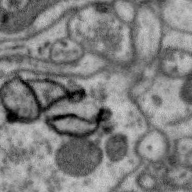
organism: Zebra finch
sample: Brain